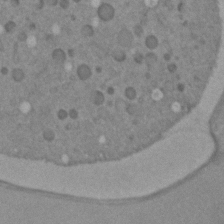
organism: C. elegans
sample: C. elegans embryo